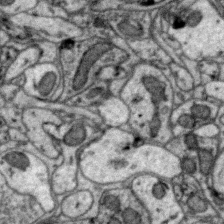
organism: Zebra finch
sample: Brain